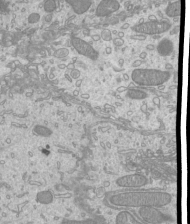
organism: Mouse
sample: Cilia; mouse epididymis